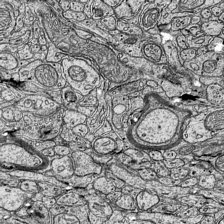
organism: Mouse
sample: Visual Cortex